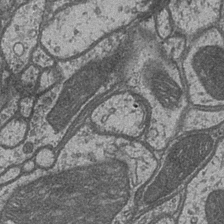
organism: Drosophila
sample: Optic medulla